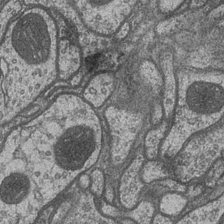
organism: Drosophila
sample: Optic medulla